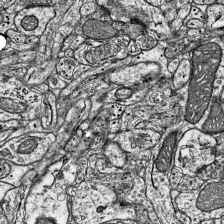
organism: Mouse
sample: Visual Cortex